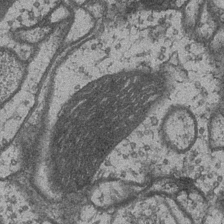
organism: Drosophila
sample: Optic medulla